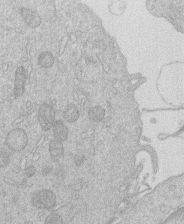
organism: Human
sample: Macrophage cells